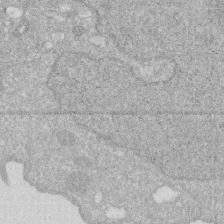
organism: Human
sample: HIV infected U937 cells